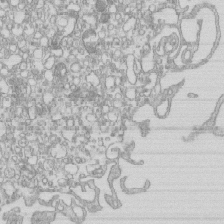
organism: Mouse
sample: Macrophages